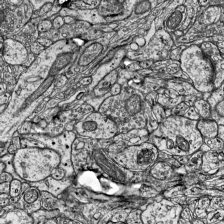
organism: Mouse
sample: Visual Cortex